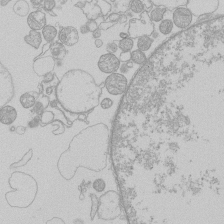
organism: Human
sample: Macrophage cells